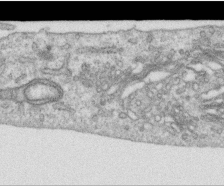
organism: Human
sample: Centriole in RPE cells